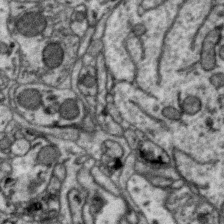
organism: Zebra finch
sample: Brain